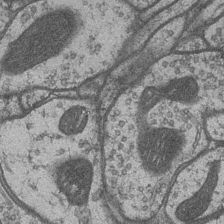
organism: Drosophila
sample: Optic medulla